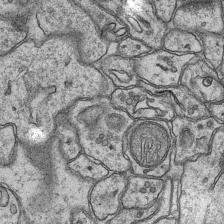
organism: Mouse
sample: CA1 Hippocampus